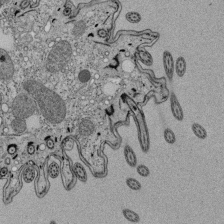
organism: Tetrahymena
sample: Cilia in tetrahymena